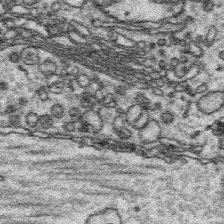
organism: Platynereis dumerilii